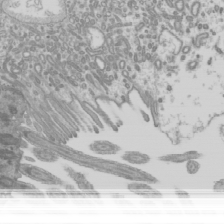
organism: Mouse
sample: Cilia; mouse epididymis